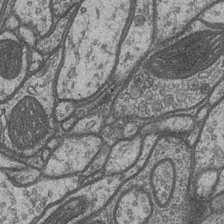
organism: Drosophila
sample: Optic medulla